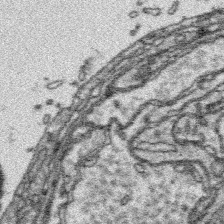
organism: Platynereis dumerilii